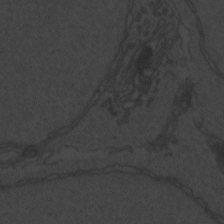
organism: Zebrafish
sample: Macrophage infected with Toxoplasma gondii